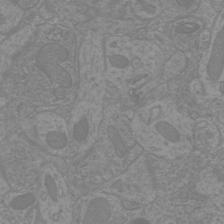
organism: Mouse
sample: Cortical neurons